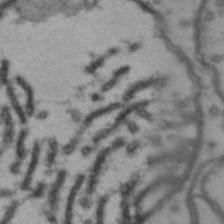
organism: Drosophila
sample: Brain